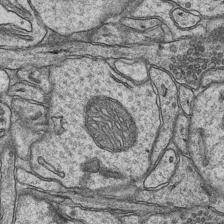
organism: Mouse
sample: CA1 Hippocampus